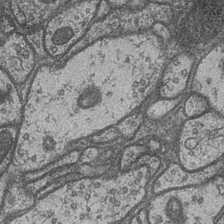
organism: Drosophila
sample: Optic medulla